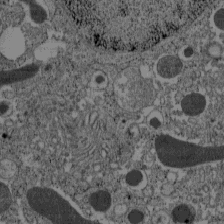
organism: C57BL Mouse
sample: Pancreatic islet